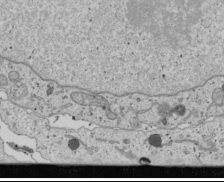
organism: Human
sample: Mitochondria in U2OS cells